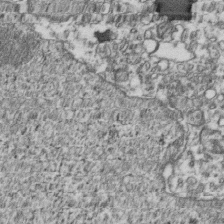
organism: Human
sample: Activated Jurkat CD4+ T cells